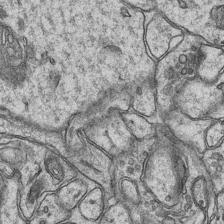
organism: Mouse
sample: CA1 Hippocampus